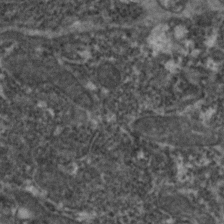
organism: Zebrafish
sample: Zebrafish embryo